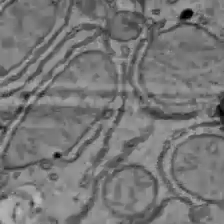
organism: C57BL Mouse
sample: Liver